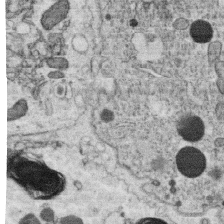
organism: C. elegans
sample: C. elegans oocyte; sperm cells